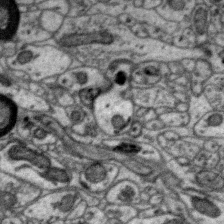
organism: Zebra finch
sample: Brain